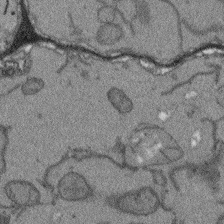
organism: Arabidopsis thaliana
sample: Root tip